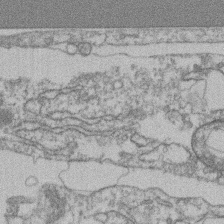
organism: Mouse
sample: T cell stromal cell synapse